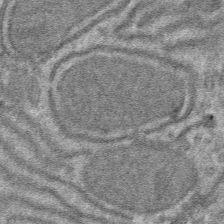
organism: Mouse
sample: Mouse hepatocytes